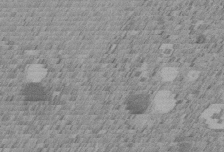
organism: C. elegans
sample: C. elegans embryo early stage